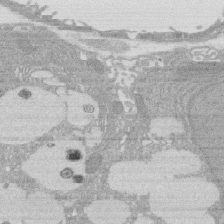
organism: Rat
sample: Salivary granule